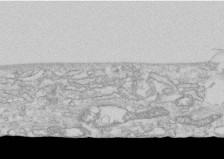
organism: Human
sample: CRL-1474